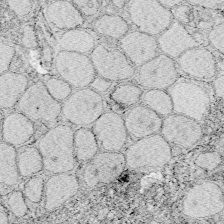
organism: Zebrafish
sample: Whole-Brain